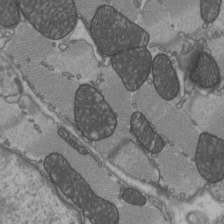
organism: C57BL Mouse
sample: Heart